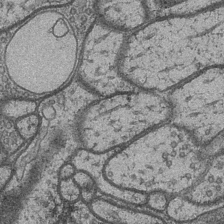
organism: Drosophila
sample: Optic medulla